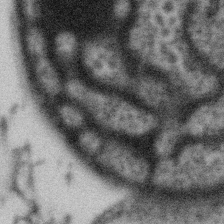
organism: Gemmata obscuriglobus